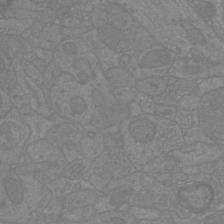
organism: Mouse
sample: Cortical neurons